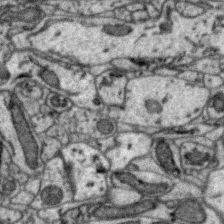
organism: Zebra finch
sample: Brain